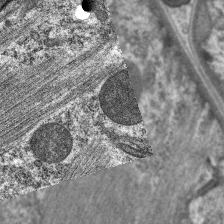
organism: C. elegans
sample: Pharynx